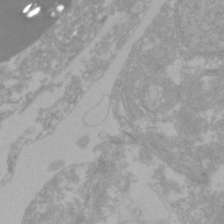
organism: Zebrafish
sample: Zebrafish embryo